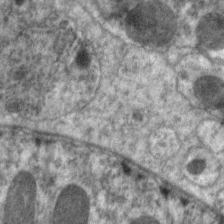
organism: C. elegans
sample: Pharynx